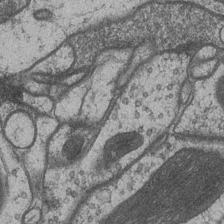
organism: Drosophila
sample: Optic medulla